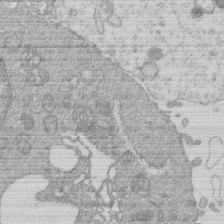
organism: Human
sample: Macrophage cells